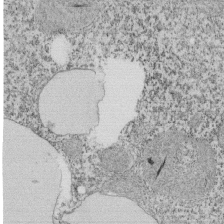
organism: Tetrahymena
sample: Cilia in tetrahymena